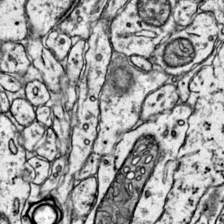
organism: Mouse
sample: Primary visual cortex